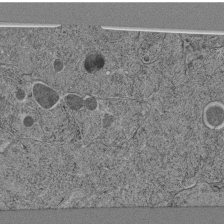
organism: C. elegans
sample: C. elegans pharynx